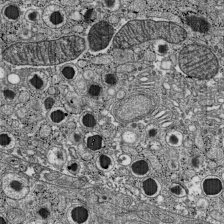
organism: C57BL Mouse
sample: Pancreatic islet